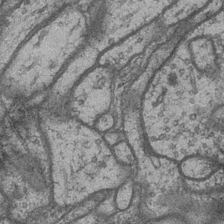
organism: Drosophila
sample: Optic medulla